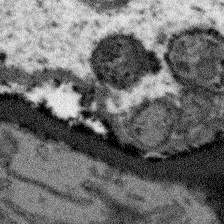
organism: Arabidopsis thaliana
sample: Root tip